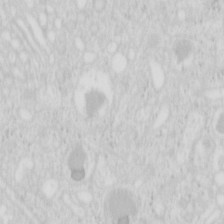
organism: Mouse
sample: Pancreas